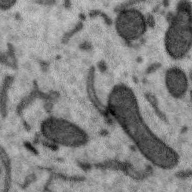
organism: Zebra finch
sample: Brain